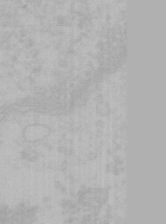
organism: Mouse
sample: Choroid plexus